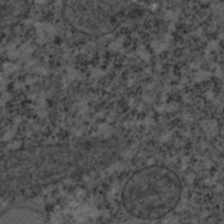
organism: C. elegans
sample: C. elegans embryo